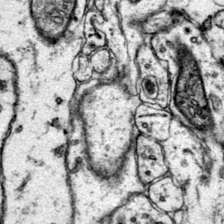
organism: Mouse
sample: Primary visual cortex